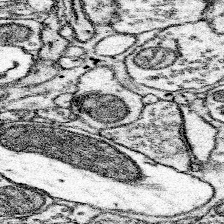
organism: Mouse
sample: Somatosensory cortex neuropil